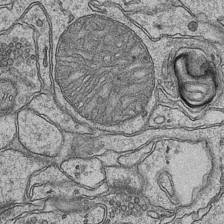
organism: Mouse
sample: CA1 Hippocampus